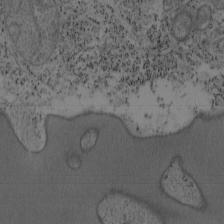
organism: Mouse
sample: OT-I killer T cells with ID8 ovarian cancer cells